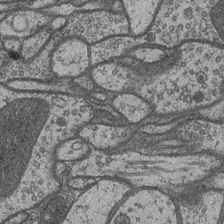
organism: Drosophila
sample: Optic medulla